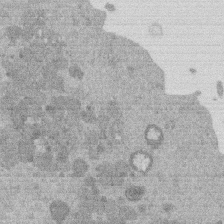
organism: Mouse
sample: Dividing mouse embryo 1 cell stage